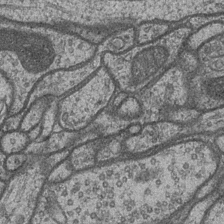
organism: Drosophila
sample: Optic medulla